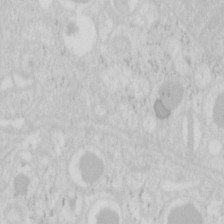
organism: Mouse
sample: Pancreas